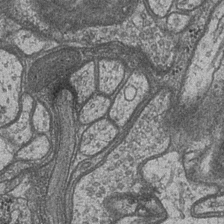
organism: Drosophila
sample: Optic medulla